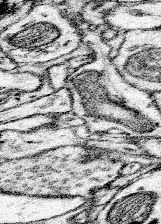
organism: Mouse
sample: Somatosensory cortex neuropil